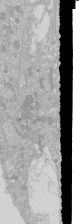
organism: Human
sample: Caco-2 cells